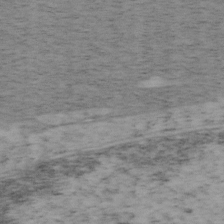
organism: Mouse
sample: OT-I killer T cells with ID8 ovarian cancer cells